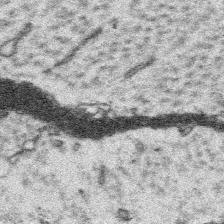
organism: Platynereis dumerilii